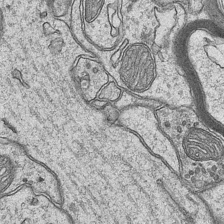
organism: Mouse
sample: CA1 Hippocampus